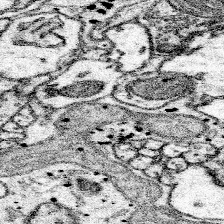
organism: Mouse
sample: Somatosensory cortex neuropil